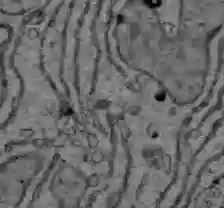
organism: C57BL Mouse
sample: Liver